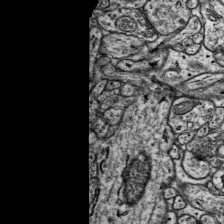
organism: Mouse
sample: Visual Cortex